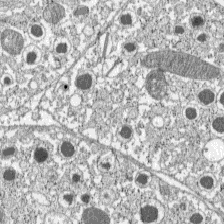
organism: C57BL Mouse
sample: Pancreatic islet